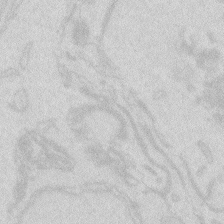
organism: Zebrafish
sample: Macrophage